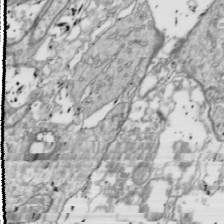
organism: Drosophila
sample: Cell division; meiosis; drosophila spermatocytes